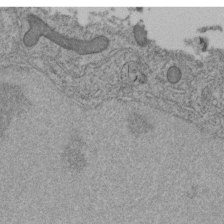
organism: C. elegans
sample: C. elegans embryo early stage